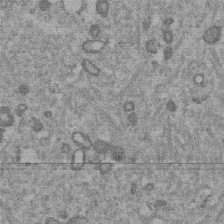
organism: Mouse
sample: Dividing mouse embryo 1 cell stage